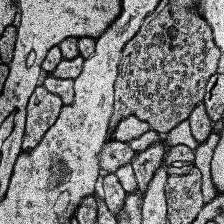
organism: Human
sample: Temporal Lobe